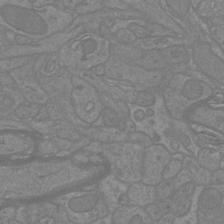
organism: Mouse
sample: Cortical neurons